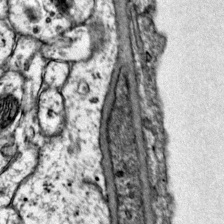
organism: Mouse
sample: Primary visual cortex